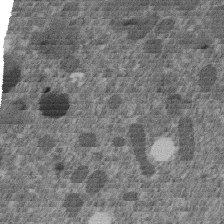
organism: C. elegans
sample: C. elegans embryo early stage